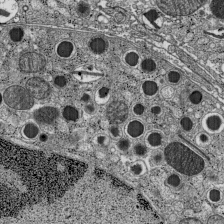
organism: C57BL Mouse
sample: Pancreatic islet